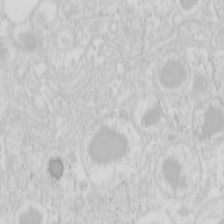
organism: Mouse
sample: Pancreas